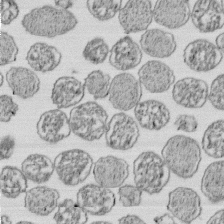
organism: E. coli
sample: Bacterial nucleoid